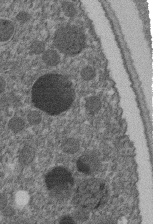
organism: C. elegans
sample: C. elegans embryo early stage